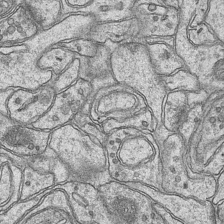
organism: Mouse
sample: CA1 Hippocampus